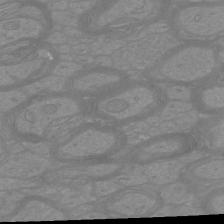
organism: Mouse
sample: Cortical neurons